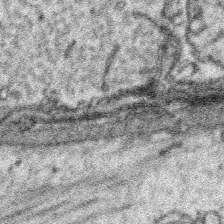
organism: Platynereis dumerilii